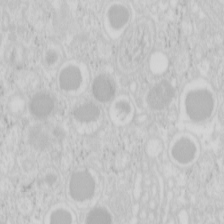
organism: Mouse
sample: Pancreas